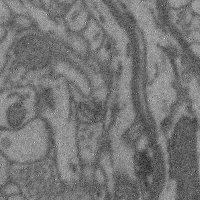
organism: Mouse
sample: Cerebral cortex